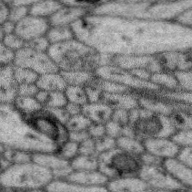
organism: Zebra finch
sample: Brain